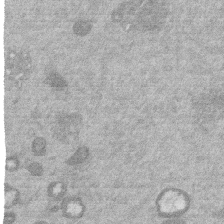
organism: Mouse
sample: Dividing mouse embryo 1 cell stage